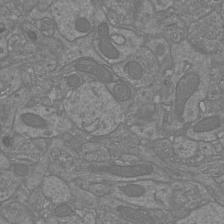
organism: Mouse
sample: Cortical neurons